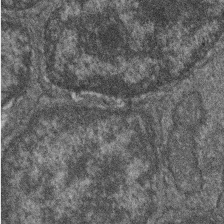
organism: Zebrafish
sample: Cilia; retinal pigment epithelium